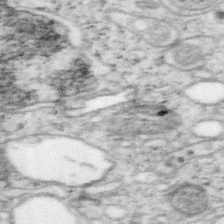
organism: Mouse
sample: OT-I killer T cells with ID8 ovarian cancer cells